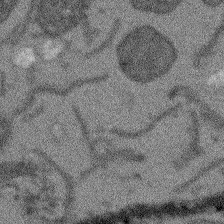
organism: Arabidopsis thaliana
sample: Root tip